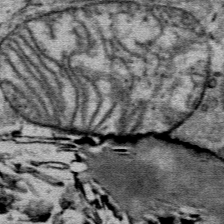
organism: Mouse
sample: Mouse Salivary gland